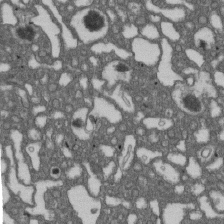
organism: Drosophila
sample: Nephrocyte